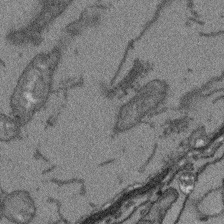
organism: Arabidopsis thaliana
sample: Root tip